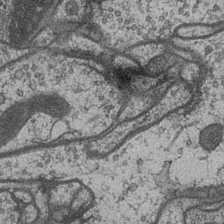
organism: Drosophila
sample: Optic medulla